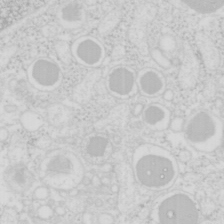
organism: Mouse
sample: Pancreas